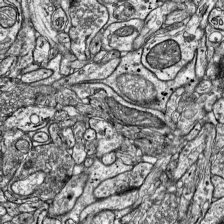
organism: Mouse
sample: Visual Cortex